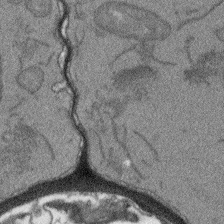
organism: Arabidopsis thaliana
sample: Root tip